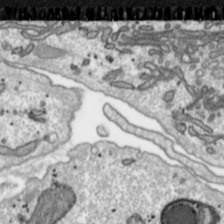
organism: Toxoplasma gondii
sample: Parasites in a vacuole inside a host cell